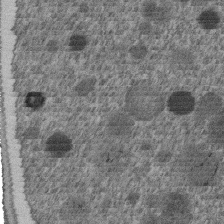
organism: C. elegans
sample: C. elegans embryo early stage